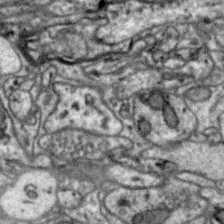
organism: Zebra finch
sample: Brain